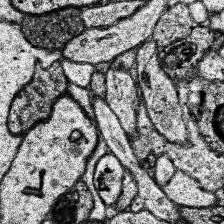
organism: Human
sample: Temporal Lobe